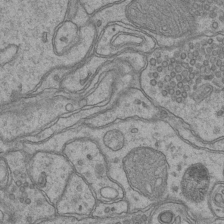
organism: Mouse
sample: CA1 Hippocampus